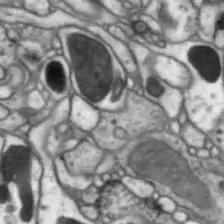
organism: Drosophila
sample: Optic lobe